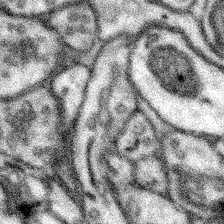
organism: Mouse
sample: Somatosensory cortex neuropil